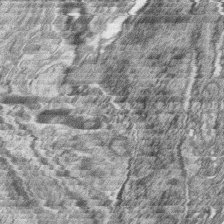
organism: Zebrafish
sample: synaptic ribbons in rod cells and cone cells